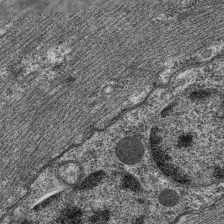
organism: C. elegans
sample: Pharynx